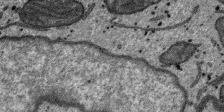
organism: Human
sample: Lung epithelial cells, uninfected (mock) control